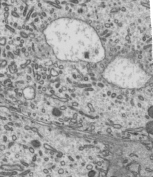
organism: Mouse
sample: Mouse epididymis efferent ductule cilia